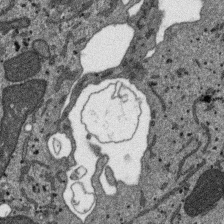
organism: Human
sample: Lung epithelial cells infected with SARS-CoV-2